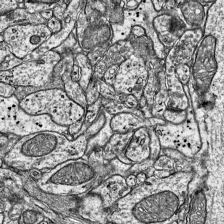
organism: Mouse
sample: Visual Cortex